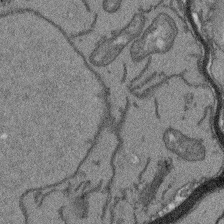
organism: Arabidopsis thaliana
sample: Root tip